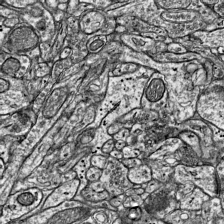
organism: Mouse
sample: Visual Cortex